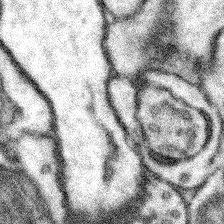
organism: Mouse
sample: Somatosensory cortex neuropil